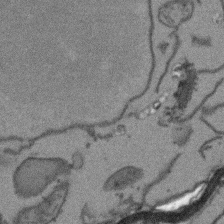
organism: Arabidopsis thaliana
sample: Root tip